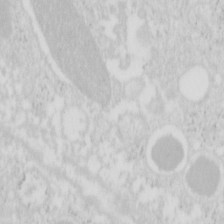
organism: Mouse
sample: Pancreas